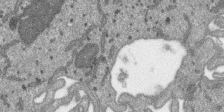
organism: Human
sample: Lung epithelial cells infected with SARS-CoV-2